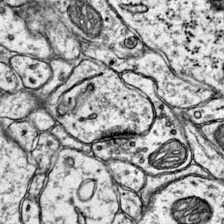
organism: Mouse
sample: Primary visual cortex